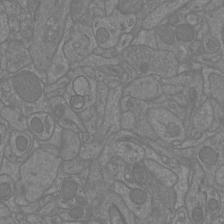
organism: Mouse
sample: Cortical neurons